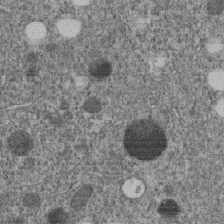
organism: C. elegans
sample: C. elegans embryo early stage